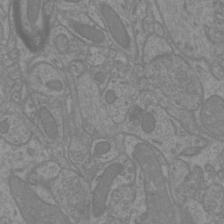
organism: Mouse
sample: Cortical neurons